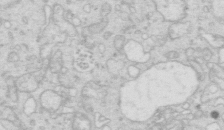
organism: Mouse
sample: Multiciliated cells